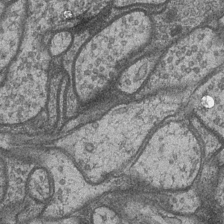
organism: Drosophila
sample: Optic medulla